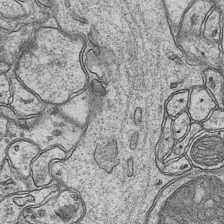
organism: Mouse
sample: CA1 Hippocampus